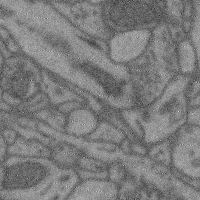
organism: Mouse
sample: Cerebral cortex